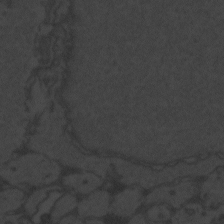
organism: Zebrafish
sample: Macrophage infected with Toxoplasma gondii